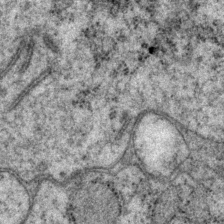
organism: P. pacificus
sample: Pharynx